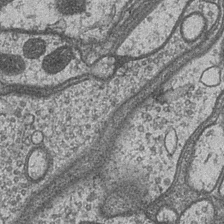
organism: Drosophila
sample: Optic medulla